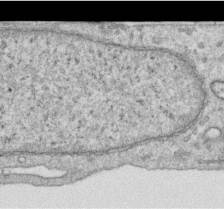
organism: Human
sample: Centriole in RPE cells